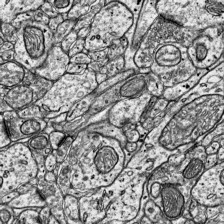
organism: Mouse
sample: Visual Cortex